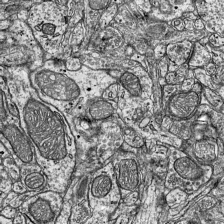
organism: Mouse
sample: Visual Cortex